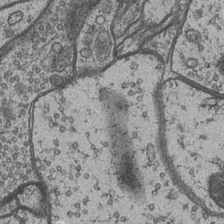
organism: Drosophila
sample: Optic medulla